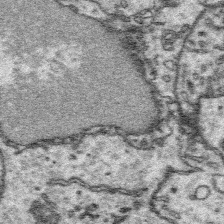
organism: Platynereis dumerilii